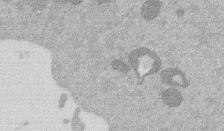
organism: Mouse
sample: Dividing mouse embryo 1 cell stage